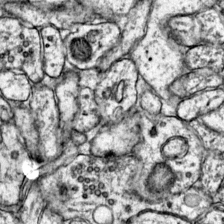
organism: Mouse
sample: Primary visual cortex